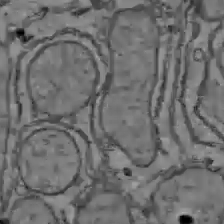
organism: C57BL Mouse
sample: Liver